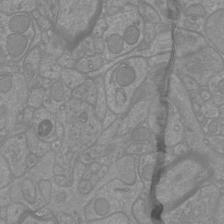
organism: Mouse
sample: Cortical neurons